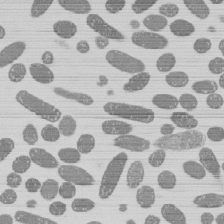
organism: E. coli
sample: Bacterial nucleoid